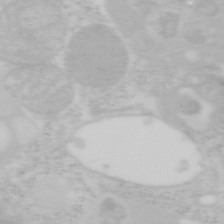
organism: Mouse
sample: OT-I killer T cells with ID8 ovarian cancer cells